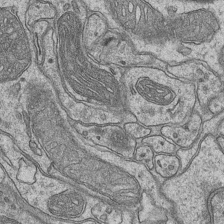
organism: Mouse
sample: CA1 Hippocampus